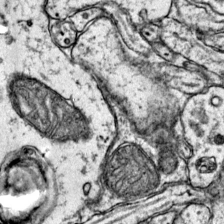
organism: Mouse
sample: Primary visual cortex